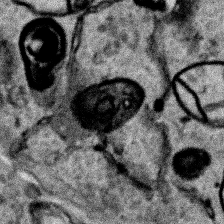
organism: Human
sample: Mitochondria in HCT116 cells